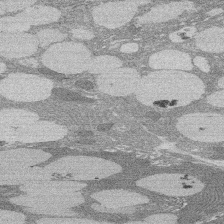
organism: Rat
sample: Salivary granule